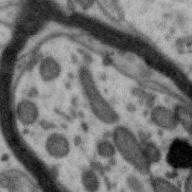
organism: Zebra finch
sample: Brain